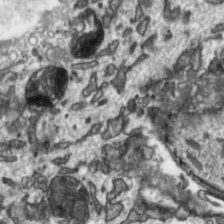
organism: Toxoplasma gondii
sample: Parasites in a vacuole inside a host cell